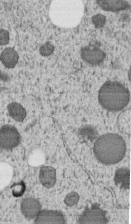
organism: C. elegans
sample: C. elegans embryo early stage